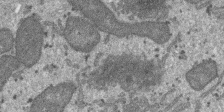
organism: Human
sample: Lung epithelial cells infected with SARS-CoV-2